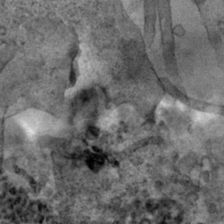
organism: Human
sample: Mitochondria in HCT116 cells